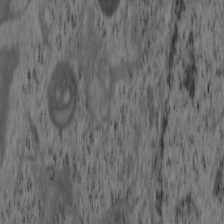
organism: Human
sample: HeLa cells